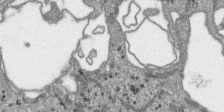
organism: Human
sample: Lung epithelial cells infected with SARS-CoV-2